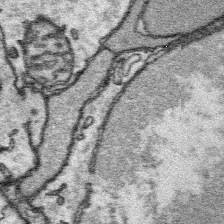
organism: Platynereis dumerilii